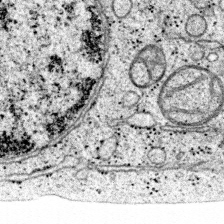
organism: Human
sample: HeLa cells